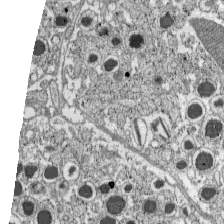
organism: C57BL Mouse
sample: Pancreatic islet